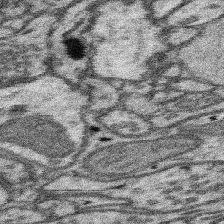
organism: Mouse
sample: Somatosensory cortex neuropil